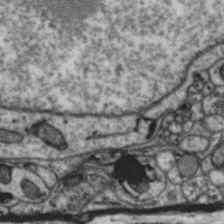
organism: Zebra finch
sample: Brain